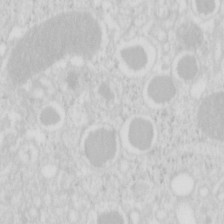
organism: Mouse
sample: Pancreas